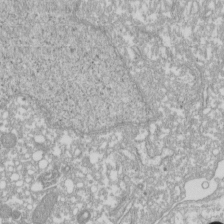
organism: Xenopus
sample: Cilia; centrioles in frog embryo cells